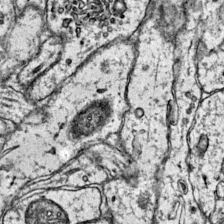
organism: Mouse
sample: Primary visual cortex